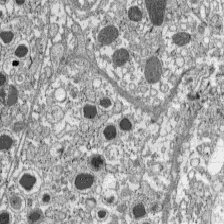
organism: C57BL Mouse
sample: Pancreatic islet